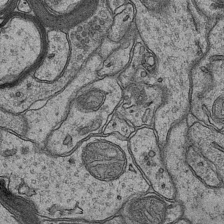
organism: Mouse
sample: CA1 Hippocampus